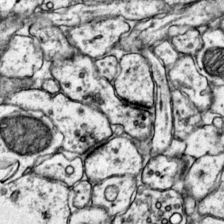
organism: Mouse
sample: Primary visual cortex